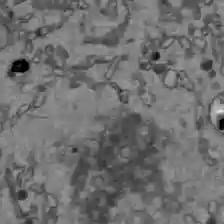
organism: C57BL Mouse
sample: Liver